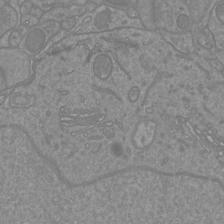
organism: Mouse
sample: Cortical neurons